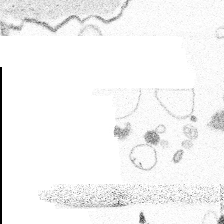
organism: Spongilla lacustris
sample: Multiple